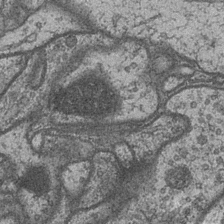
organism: Drosophila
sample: Optic medulla